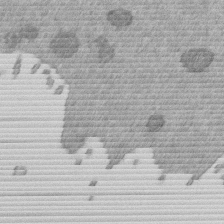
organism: Mouse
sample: Dividing mouse embryo 1 cell stage